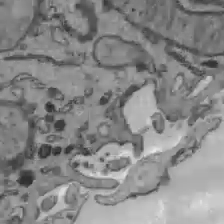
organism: C57BL Mouse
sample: Liver